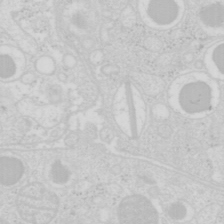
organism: Mouse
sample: Pancreas